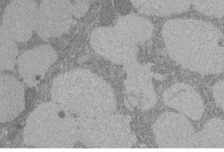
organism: Rat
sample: Salivary granule